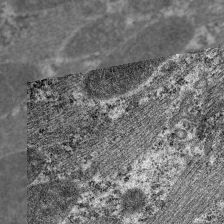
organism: C. elegans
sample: Pharynx